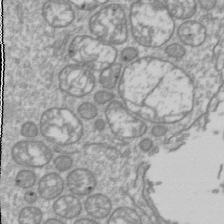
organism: Drosophila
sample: Cell division; meiosis; drosophila spermatocytes